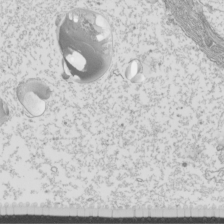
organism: Mouse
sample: Cilia; mouse epididymis